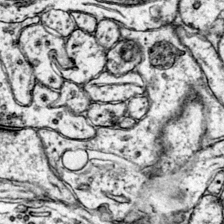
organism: Mouse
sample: Primary visual cortex